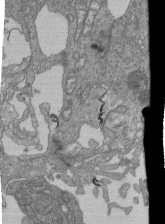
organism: Human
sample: Retinal organoid Rod and Cone cells